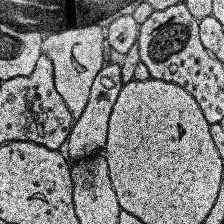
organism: Human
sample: Temporal Lobe